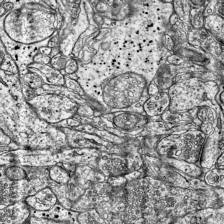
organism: Mouse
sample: Visual Cortex